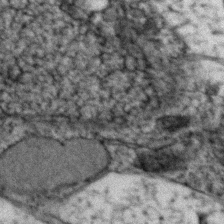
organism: Zebrafish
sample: Zebrafish embryo